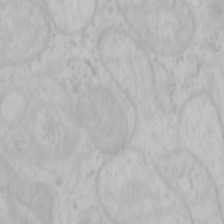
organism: Mouse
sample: OT-I killer T cells with ID8 ovarian cancer cells